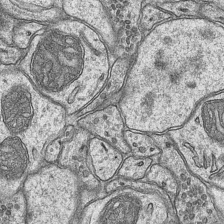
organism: Mouse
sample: CA1 Hippocampus